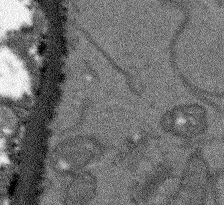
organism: Arabidopsis thaliana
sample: Root tip